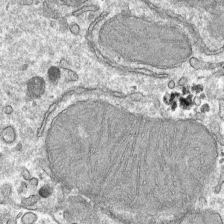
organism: Mouse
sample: Mouse hepatocytes